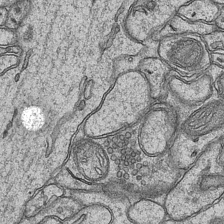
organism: Mouse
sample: CA1 Hippocampus